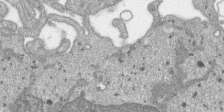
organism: Human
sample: Lung epithelial cells infected with SARS-CoV-2